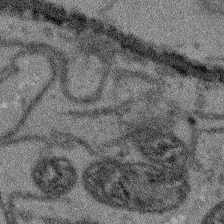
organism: Arabidopsis thaliana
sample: Root tip